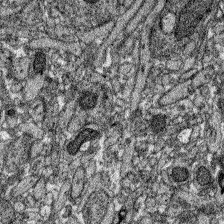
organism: Zebrafish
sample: Larval olfactory bulb